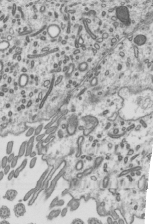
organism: Mouse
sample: Mouse epididymis efferent ductule cilia